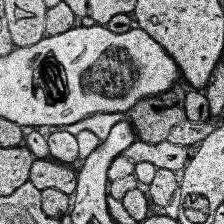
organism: Human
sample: Temporal Lobe